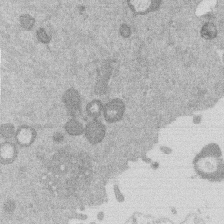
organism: Mouse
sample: Dividing mouse embryo 1 cell stage